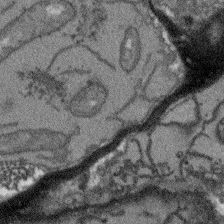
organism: Arabidopsis thaliana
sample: Root tip